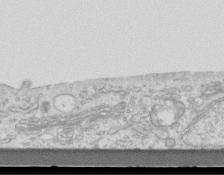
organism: Mouse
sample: Centriole in ependymal cells